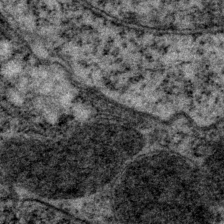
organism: P. pacificus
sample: Pharynx